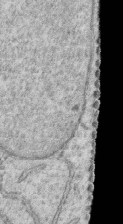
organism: Human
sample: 1205lu cells